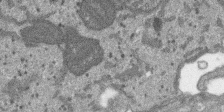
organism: Human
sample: Lung epithelial cells infected with SARS-CoV-2